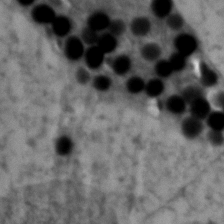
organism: Zebrafish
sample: Zebrafish embryo